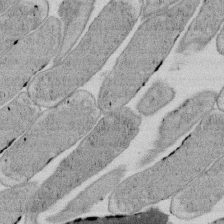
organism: E. coli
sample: Bacterial nucleoid